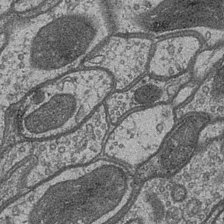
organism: Drosophila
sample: Optic medulla